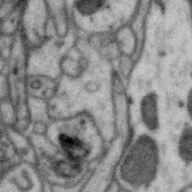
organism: Zebra finch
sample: Brain